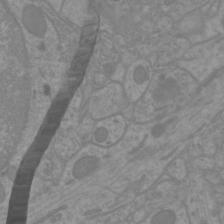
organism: Mouse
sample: Cortical neurons